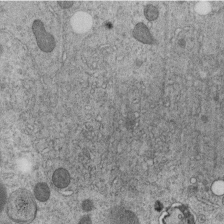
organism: C. elegans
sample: C. elegans embryo early stage